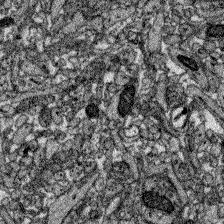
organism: Zebrafish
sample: Larval olfactory bulb